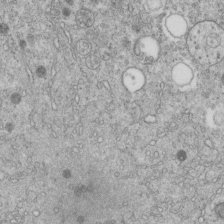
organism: C. elegans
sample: C. elegans embryo early stage